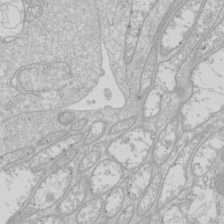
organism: Drosophila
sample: Cell division; meiosis; drosophila spermatocytes